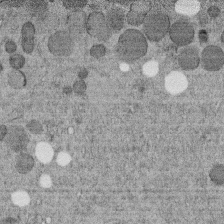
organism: C. elegans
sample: C. elegans embryo early stage